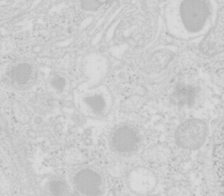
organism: Mouse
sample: Pancreas